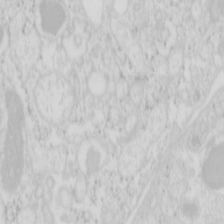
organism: Mouse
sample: Pancreas